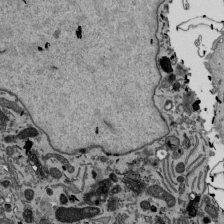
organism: Mouse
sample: ED-1 cell nuclei; centrioles